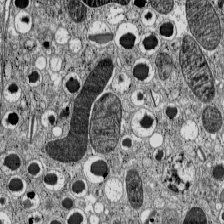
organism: C57BL Mouse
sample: Pancreatic islet